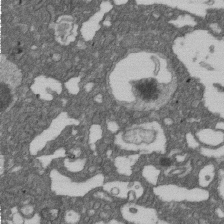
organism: Drosophila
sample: Nephrocyte